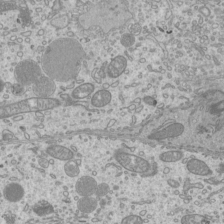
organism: Mouse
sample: Cilia; mouse epididymis